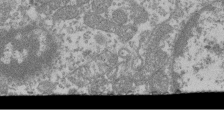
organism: Mouse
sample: Glomerulus